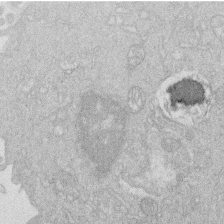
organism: Human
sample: Macrophage cells